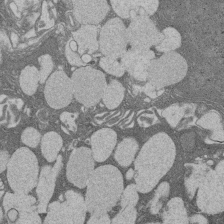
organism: Rat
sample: Salivary granule